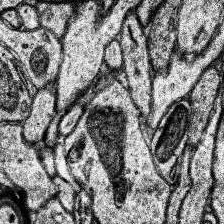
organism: Human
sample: Temporal Lobe